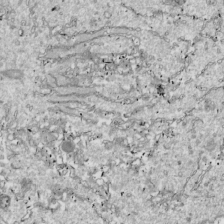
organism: Drosophila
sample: Cell division; meiosis; drosophila spermatocytes